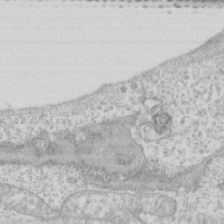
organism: Human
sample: Fibroblast cells